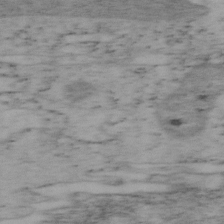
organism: Mouse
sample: OT-I killer T cells with ID8 ovarian cancer cells